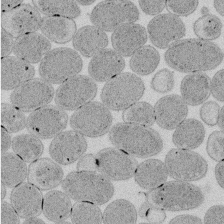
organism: E. coli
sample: Bacterial nucleoid